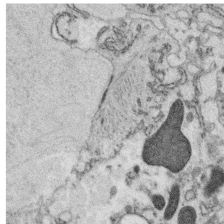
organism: C. elegans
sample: C. elegans oocyte; sperm cells